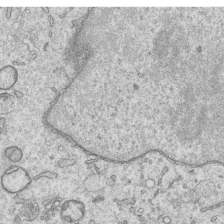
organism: Human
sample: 1205lu cells